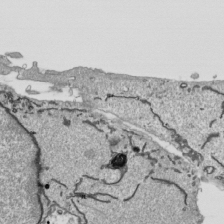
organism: Human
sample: Mitochondria in HCT116 cells